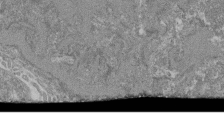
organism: Mouse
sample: Glomerulus